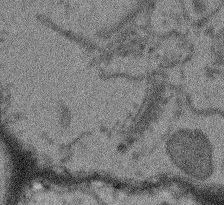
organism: Arabidopsis thaliana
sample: Root tip